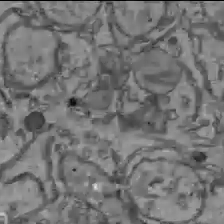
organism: C57BL Mouse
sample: Liver